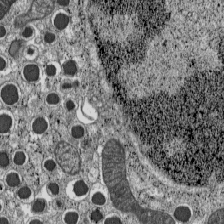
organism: C57BL Mouse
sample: Pancreatic islet